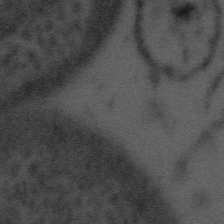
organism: Tuwongella immobilis